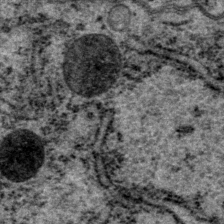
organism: P. pacificus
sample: Pharynx